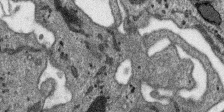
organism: Human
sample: Lung epithelial cells infected with SARS-CoV-2